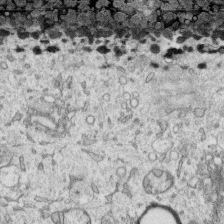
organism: Human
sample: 1205lu cells